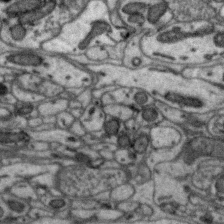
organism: Zebra finch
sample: Brain